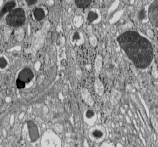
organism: C57BL Mouse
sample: Pancreatic islet